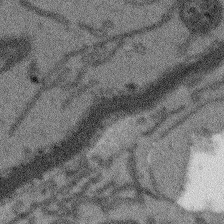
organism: Arabidopsis thaliana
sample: Root tip